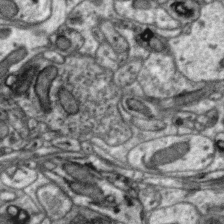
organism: Zebra finch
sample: Brain